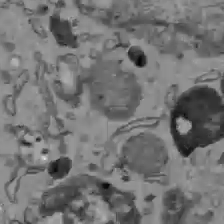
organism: C57BL Mouse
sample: Liver